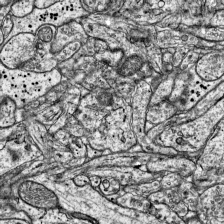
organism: Mouse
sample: Visual Cortex